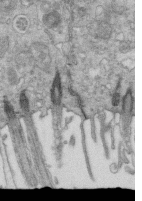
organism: Mouse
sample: Multiciliated cells